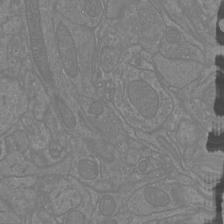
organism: Mouse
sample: Cortical neurons